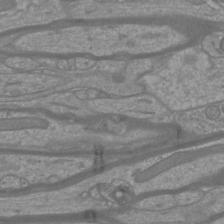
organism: Mouse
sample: Cortical neurons